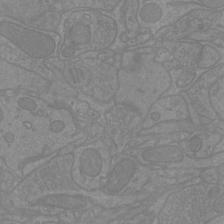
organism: Mouse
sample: Cortical neurons